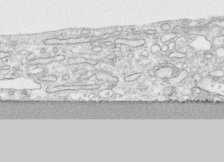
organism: Human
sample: CRL-1474